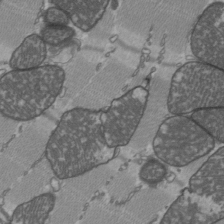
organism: C57BL Mouse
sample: Heart